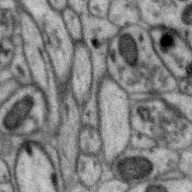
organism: Zebra finch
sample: Brain